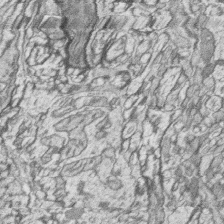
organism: Zebrafish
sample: synaptic ribbons in rod cells and cone cells